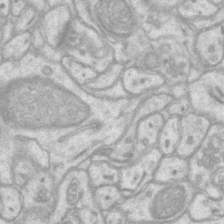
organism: Mouse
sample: CA1 Hippocampus